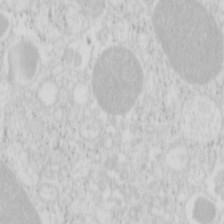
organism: Mouse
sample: Pancreas